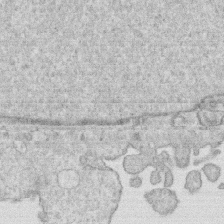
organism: Human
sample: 1205lu cells